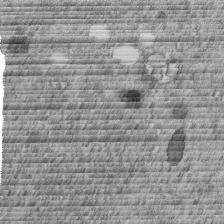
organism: C. elegans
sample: C. elegans embryo early stage